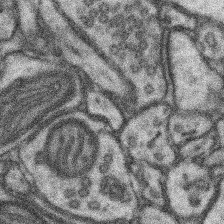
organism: Mouse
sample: Somatosensory cortex neuropil